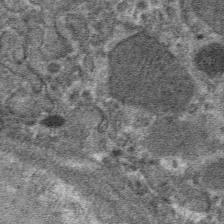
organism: Mouse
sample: Mouse hepatocytes